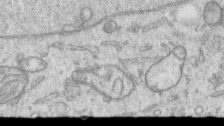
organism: Human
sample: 1205lu cells